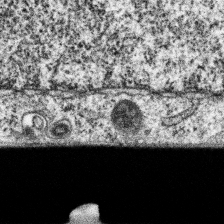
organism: Human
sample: HeLa cells